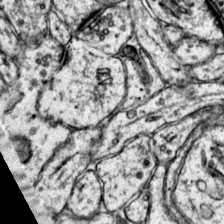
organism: Mouse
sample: Primary visual cortex